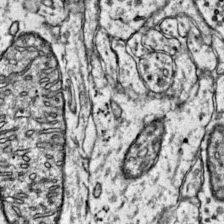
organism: Mouse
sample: Primary visual cortex